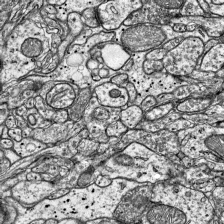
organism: Mouse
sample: Visual Cortex